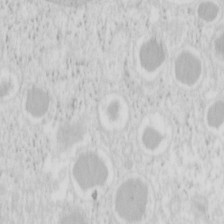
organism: Mouse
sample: Pancreas